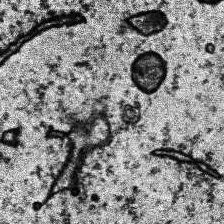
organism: Human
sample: Temporal Lobe